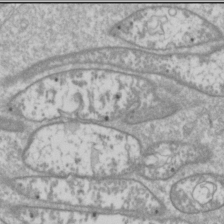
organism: Drosophila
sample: Cell division; meiosis; drosophila spermatocytes